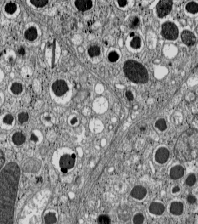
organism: C57BL Mouse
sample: Pancreatic islet